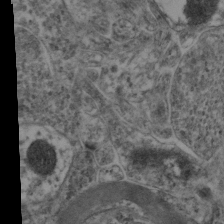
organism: Mouse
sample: Neocortex